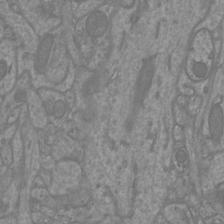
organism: Mouse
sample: Cortical neurons